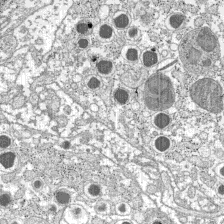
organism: C57BL Mouse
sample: Pancreatic islet